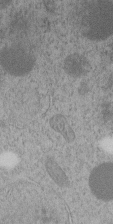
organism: C. elegans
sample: C. elegans embryo early stage